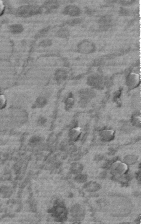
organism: C. elegans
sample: C. elegans embryo early stage